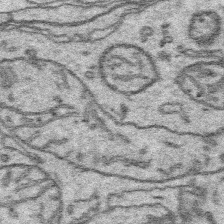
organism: Platynereis dumerilii